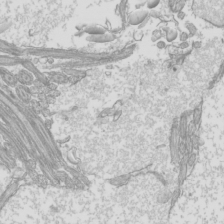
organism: Mouse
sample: Cilia; mouse epididymis